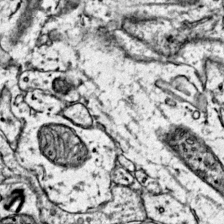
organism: Mouse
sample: Primary visual cortex